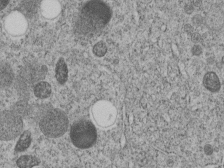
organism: C. elegans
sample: C. elegans embryo early stage